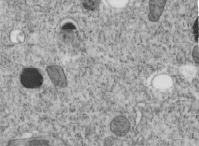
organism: C. elegans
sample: C. elegans embryo early stage